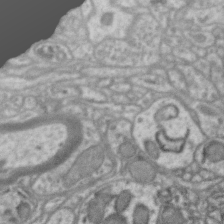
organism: Zebra finch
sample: Brain